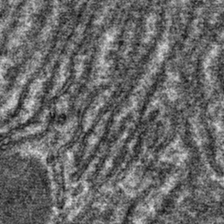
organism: Mouse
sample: Mouse hepatocytes